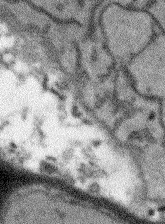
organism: Arabidopsis thaliana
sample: Root tip